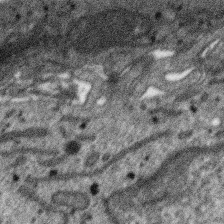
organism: Human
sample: Lung epithelial cells infected with SARS-CoV-2